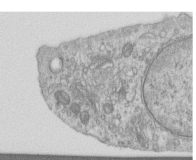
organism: Human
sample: Centriole in RPE cells